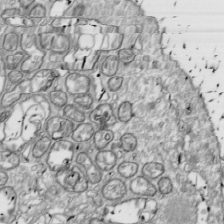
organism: Drosophila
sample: Cell division; meiosis; drosophila spermatocytes